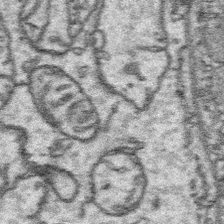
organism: Platynereis dumerilii